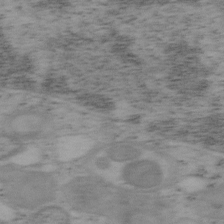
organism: Mouse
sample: OT-I killer T cells with ID8 ovarian cancer cells